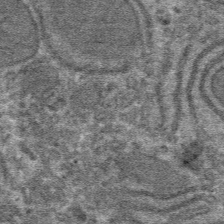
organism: Mouse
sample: Mouse hepatocytes